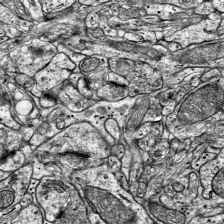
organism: Mouse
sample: Visual Cortex